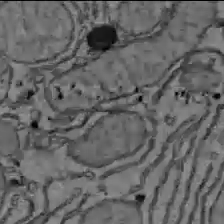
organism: C57BL Mouse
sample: Liver